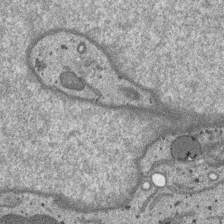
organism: Human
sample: Lung epithelial cells infected with SARS-CoV-2